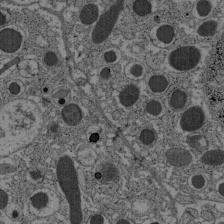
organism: C57BL Mouse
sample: Pancreatic islet